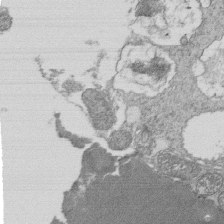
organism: Tetrahymena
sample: Cilia in tetrahymena